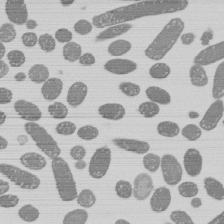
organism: E. coli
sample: Bacterial nucleoid